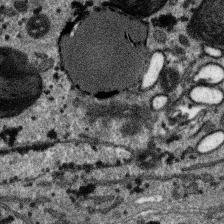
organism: Human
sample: Lung epithelial cells infected with SARS-CoV-2